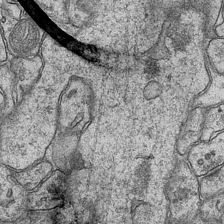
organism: Mouse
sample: CA1 Hippocampus